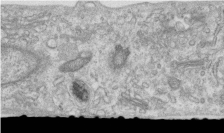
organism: Human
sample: Centriole in RPE cells